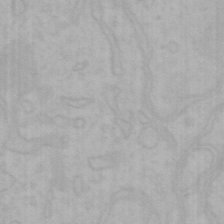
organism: Mouse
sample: Choroid plexus